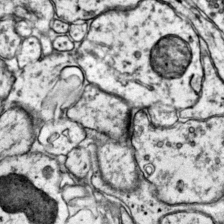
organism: Mouse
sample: Primary visual cortex